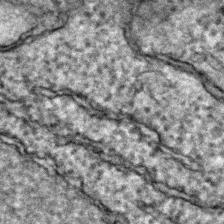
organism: Zebrafish